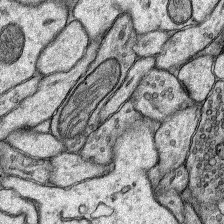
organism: Rat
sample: Hippocampus